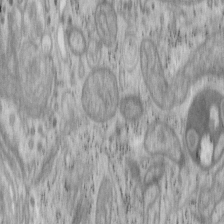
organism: Human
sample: HeLa cells